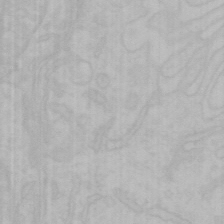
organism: Mouse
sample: Choroid plexus